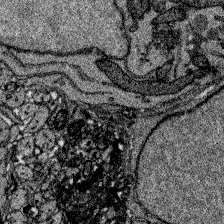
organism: Zebrafish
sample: Larval olfactory bulb